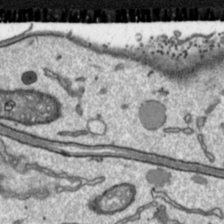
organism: Toxoplasma gondii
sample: Parasites in a vacuole inside a host cell